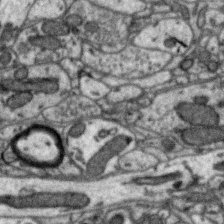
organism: Zebra finch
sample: Brain